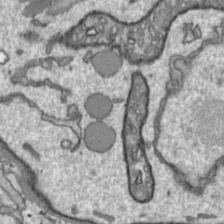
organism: Toxoplasma gondii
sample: Parasites in a vacuole inside a host cell